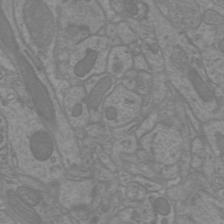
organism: Mouse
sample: Cortical neurons